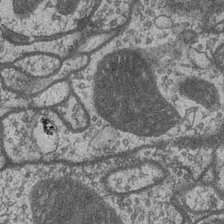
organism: Drosophila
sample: Optic medulla